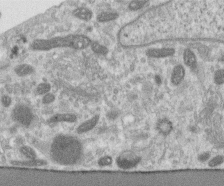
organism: Human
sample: Centriole in RPE cells